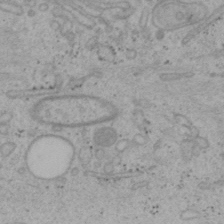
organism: Human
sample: HeLa cells